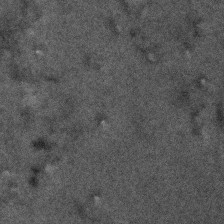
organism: Human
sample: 1205lu cells